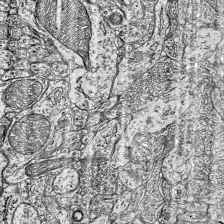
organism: Mouse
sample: Visual Cortex